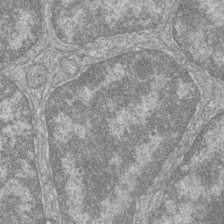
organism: Zebrafish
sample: Cilia; retinal pigment epithelium